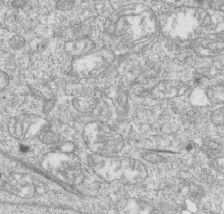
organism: Human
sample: HeLa cell HIV synapse